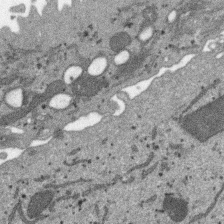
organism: Human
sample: Lung epithelial cells infected with SARS-CoV-2